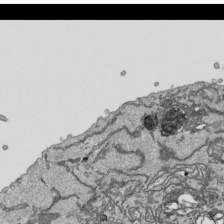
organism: Human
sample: Mitochondria in HCT116 cells